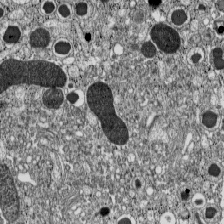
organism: C57BL Mouse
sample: Pancreatic islet